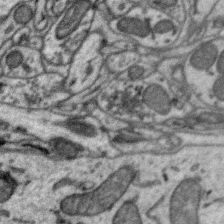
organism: Zebra finch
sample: Brain